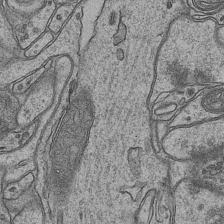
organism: Mouse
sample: CA1 Hippocampus